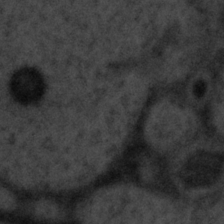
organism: Tuwongella immobilis